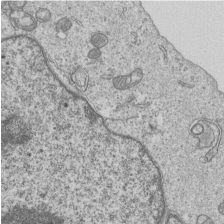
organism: Human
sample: MDA-MB-231 cells